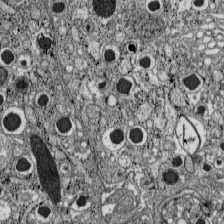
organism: C57BL Mouse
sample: Pancreatic islet